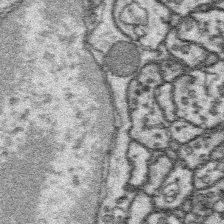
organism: Platynereis dumerilii